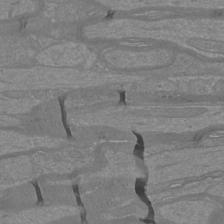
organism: Mouse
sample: Cortical neurons